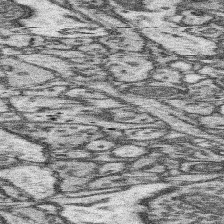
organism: Mouse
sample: Somatosensory cortex neuropil